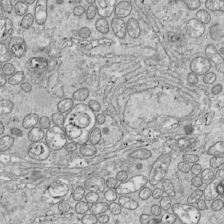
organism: Drosophila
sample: Cell division; meiosis; drosophila spermatocytes